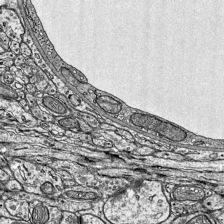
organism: Mouse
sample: Visual Cortex